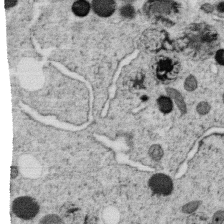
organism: C. elegans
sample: C. elegans oocyte; sperm cells